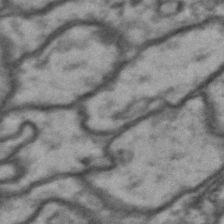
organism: Drosophila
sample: Brain